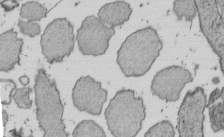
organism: E. coli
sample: Bacterial nucleoid